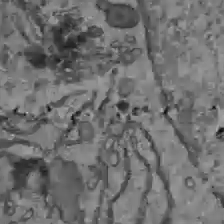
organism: C57BL Mouse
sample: Liver